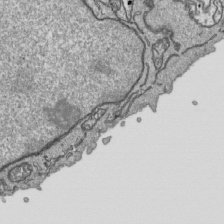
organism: Human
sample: Mitochondria in HCT116 cells